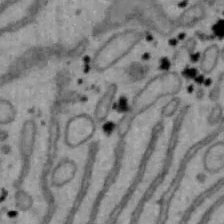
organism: Mouse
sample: Liver